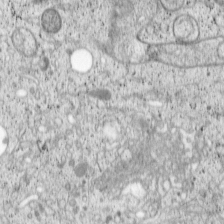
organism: African green monkey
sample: COS-7 cells